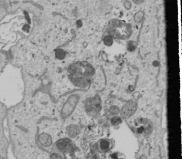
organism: Human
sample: Mitochondria in U2OS cells